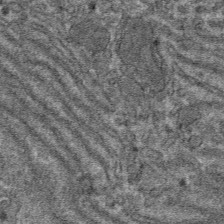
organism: Mouse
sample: Mouse hepatocytes